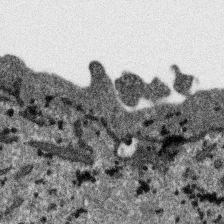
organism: Human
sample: Lung epithelial cells infected with SARS-CoV-2